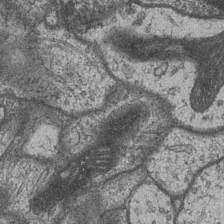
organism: Drosophila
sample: Optic medulla